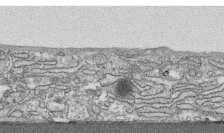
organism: Human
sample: CRL-1474